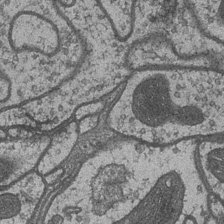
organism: Drosophila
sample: Optic medulla